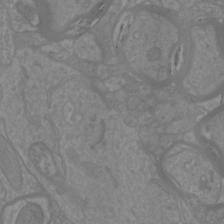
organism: Mouse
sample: Cortical neurons